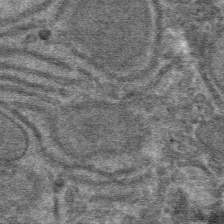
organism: Mouse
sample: Mouse hepatocytes